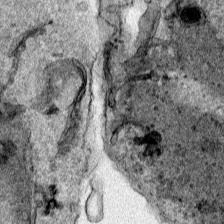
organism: Human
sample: Mitochondria in HCT116 cells